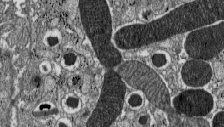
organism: C57BL Mouse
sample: Pancreatic islet